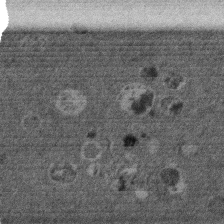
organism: Mouse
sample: Dividing mouse embryo 1 cell stage